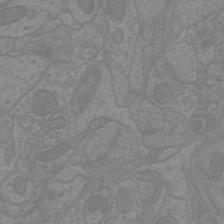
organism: Mouse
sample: Cortical neurons